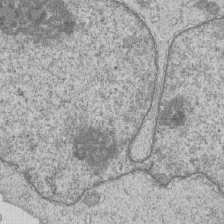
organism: Human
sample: MDA-MB-231 cells